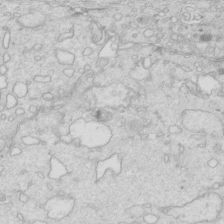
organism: Mouse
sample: Multiciliated cells